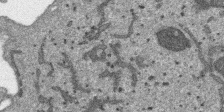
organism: Human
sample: Lung epithelial cells infected with SARS-CoV-2